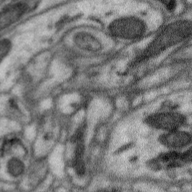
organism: Zebra finch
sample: Brain